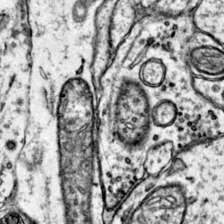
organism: Mouse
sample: Primary visual cortex